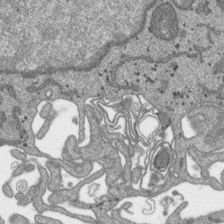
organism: Human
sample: Lung epithelial cells infected with SARS-CoV-2